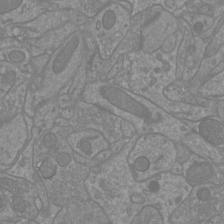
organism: Mouse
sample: Cortical neurons